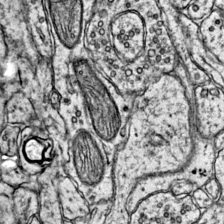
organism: Mouse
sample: Primary visual cortex